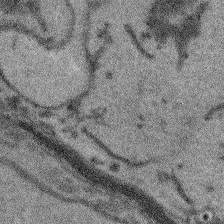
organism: Arabidopsis thaliana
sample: Root tip